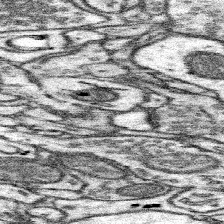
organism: Mouse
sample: Somatosensory cortex neuropil